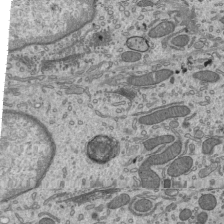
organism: Mouse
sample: Mouse epididymis efferent ductule cilia